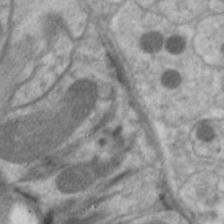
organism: C. elegans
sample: Pharynx